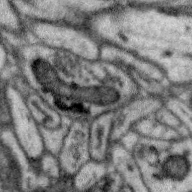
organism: Zebra finch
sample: Brain